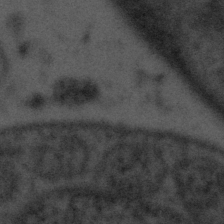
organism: Tuwongella immobilis